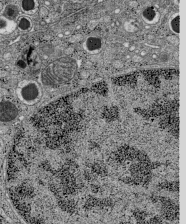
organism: C57BL Mouse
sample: Pancreatic islet